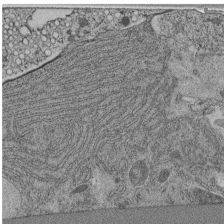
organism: C. elegans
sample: C. elegans pharynx